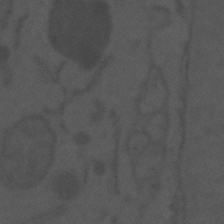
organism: Mouse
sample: Suprachiasmatic nucleus